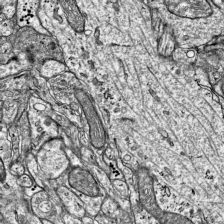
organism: Mouse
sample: Visual Cortex